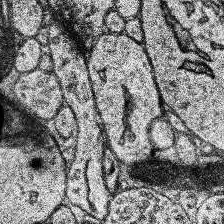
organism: Human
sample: Temporal Lobe